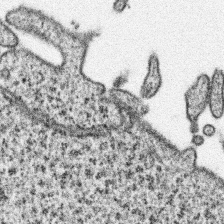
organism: Human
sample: HeLa cells